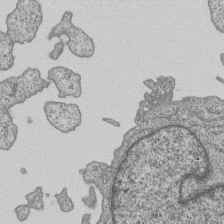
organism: Human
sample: MDA-MB-231 cells